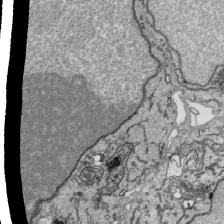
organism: Human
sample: Mitochondria in HCT116 cells